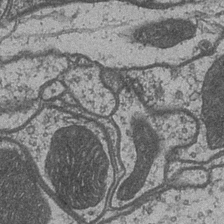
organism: Drosophila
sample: Optic medulla